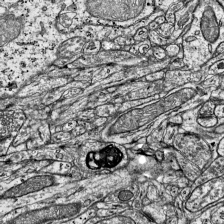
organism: Mouse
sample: Visual Cortex